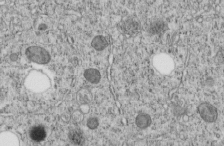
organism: C. elegans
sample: C. elegans embryo early stage